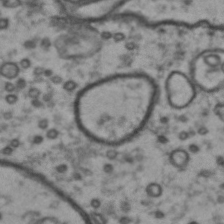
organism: Drosophila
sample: Brain